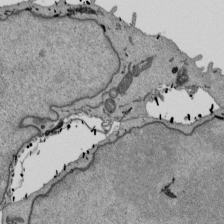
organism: Mouse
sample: ED-1 cell nuclei; centrioles